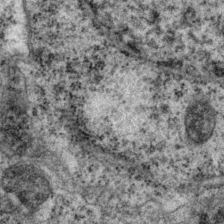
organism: P. pacificus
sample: Pharynx